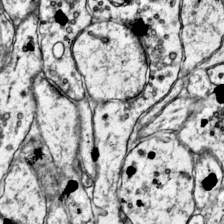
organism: Mouse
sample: Primary visual cortex